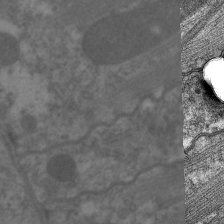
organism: C. elegans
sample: Pharynx